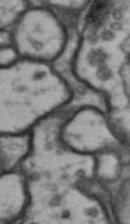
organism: Drosophila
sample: Brain